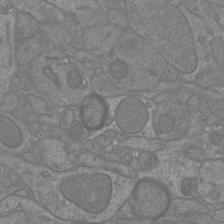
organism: Mouse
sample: Cortical neurons